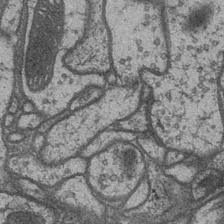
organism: Drosophila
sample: Optic medulla